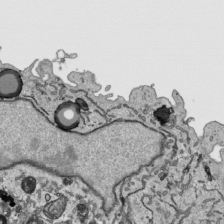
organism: Human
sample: Mitochondria in HCT116 cells